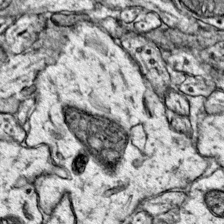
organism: Mouse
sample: Primary visual cortex